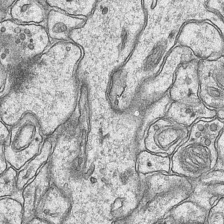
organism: Mouse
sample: CA1 Hippocampus